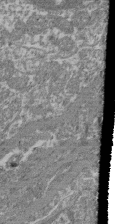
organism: Mouse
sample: Glomerulus